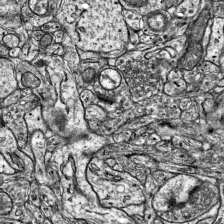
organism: Mouse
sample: Visual Cortex